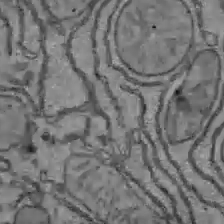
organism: C57BL Mouse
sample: Liver